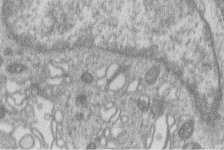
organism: Human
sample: Macrophage cells